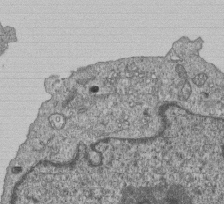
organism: Human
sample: MDA-MB-231 cells